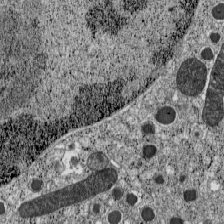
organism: C57BL Mouse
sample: Pancreatic islet